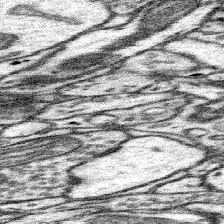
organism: Mouse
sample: Somatosensory cortex neuropil